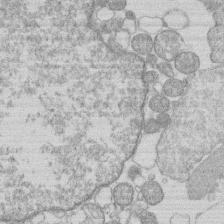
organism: Human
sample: Macrophage cells